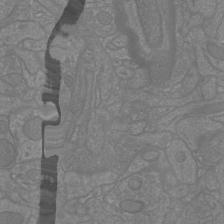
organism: Mouse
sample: Cortical neurons